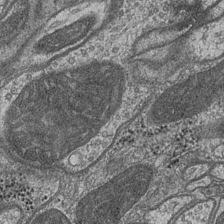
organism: Drosophila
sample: Optic medulla